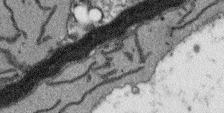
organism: Arabidopsis thaliana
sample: Root tip